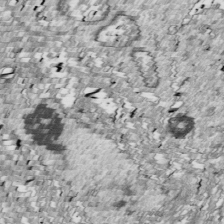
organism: Drosophila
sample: Cell division; meiosis; drosophila spermatocytes